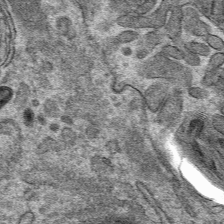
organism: Mouse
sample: Mouse hepatocytes